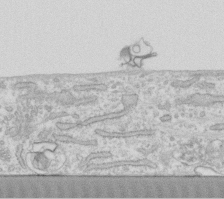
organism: Human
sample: Fibroblast cells